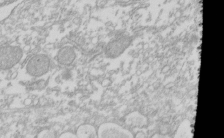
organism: Xenopus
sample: Cilia; centrioles in frog embryo cells